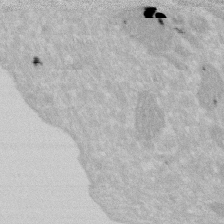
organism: Human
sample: HIV infected U937 cells